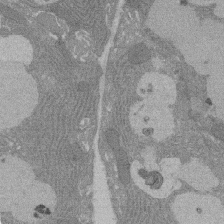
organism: Rat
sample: Salivary granule